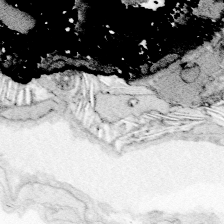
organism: Zebrafish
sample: Whole-Brain